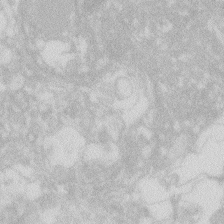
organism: Zebrafish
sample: Macrophage